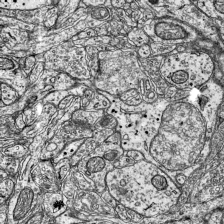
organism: Mouse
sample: Visual Cortex